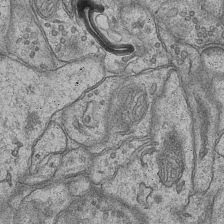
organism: Mouse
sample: CA1 Hippocampus